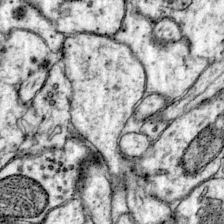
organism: Mouse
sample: Primary visual cortex